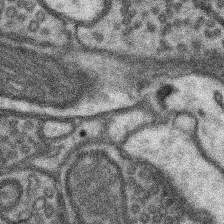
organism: Mouse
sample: Somatosensory cortex neuropil